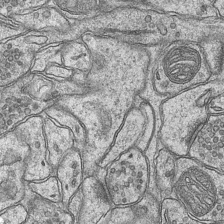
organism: Mouse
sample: CA1 Hippocampus